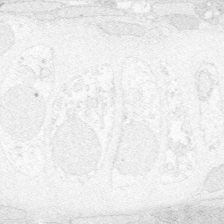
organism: Zebrafish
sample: Whole-Brain